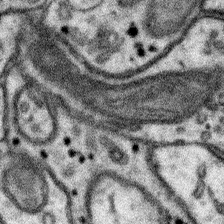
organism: Mouse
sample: Somatosensory cortex neuropil